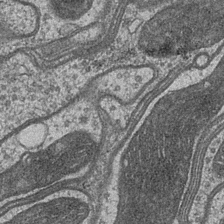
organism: Drosophila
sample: Optic medulla